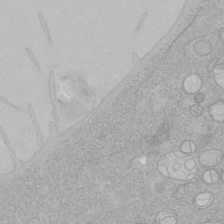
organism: Human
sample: Mitochondria in HCT116 cells